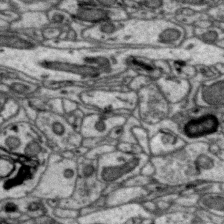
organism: Zebra finch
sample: Brain